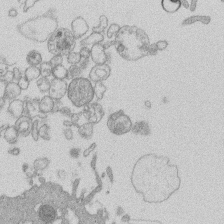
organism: Human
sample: Macrophage cells